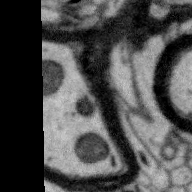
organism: Zebra finch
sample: Brain